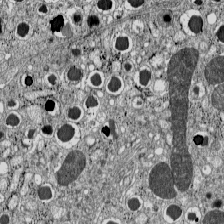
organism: C57BL Mouse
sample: Pancreatic islet